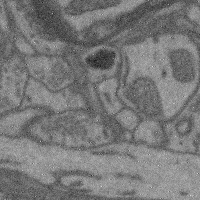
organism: Mouse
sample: Cerebral cortex